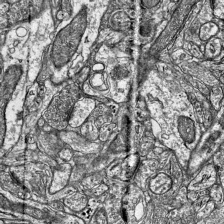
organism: Mouse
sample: Visual Cortex